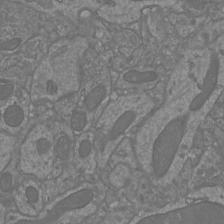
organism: Mouse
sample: Cortical neurons